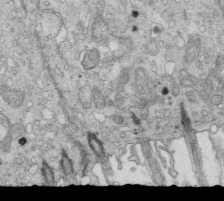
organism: Mouse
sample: Multiciliated cells